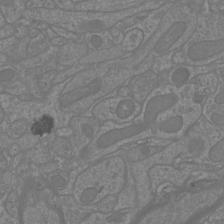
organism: Mouse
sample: Cortical neurons